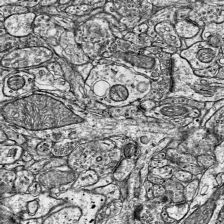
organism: Mouse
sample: Visual Cortex